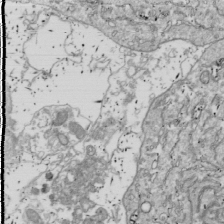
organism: Drosophila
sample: Cell division; meiosis; drosophila spermatocytes